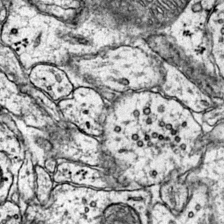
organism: Mouse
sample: Primary visual cortex